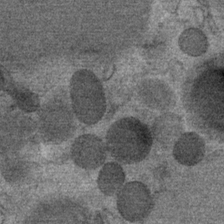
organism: Mouse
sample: Mouse Salivary gland